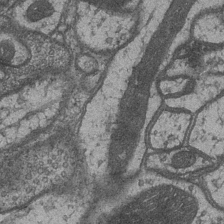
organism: Drosophila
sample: Optic medulla